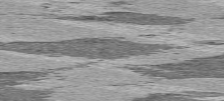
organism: C57BL Mouse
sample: Heart